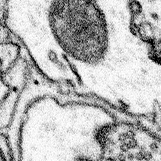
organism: Mouse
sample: Somatosensory cortex neuropil